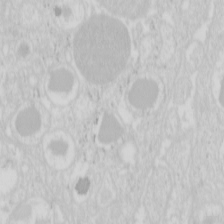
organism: Mouse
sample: Pancreas